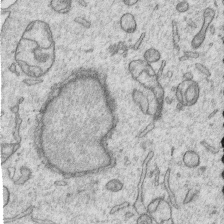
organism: Human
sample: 1205lu cells